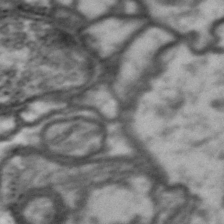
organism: Drosophila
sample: Brain